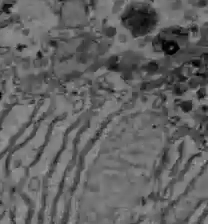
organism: C57BL Mouse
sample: Liver